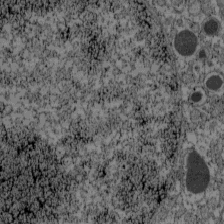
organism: C57BL Mouse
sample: Pancreatic islet